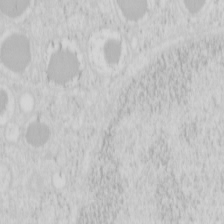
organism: Mouse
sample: Pancreas